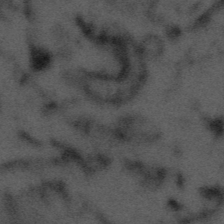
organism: Tuwongella immobilis